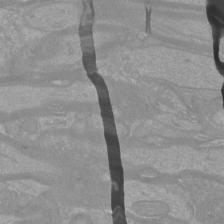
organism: Mouse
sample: Cortical neurons